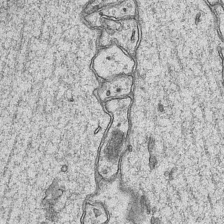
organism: Mouse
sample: CA1 Hippocampus